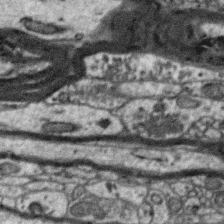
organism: Zebra finch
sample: Brain